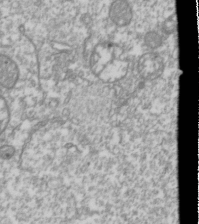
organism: Drosophila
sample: Cell division; meiosis; drosophila spermatocytes